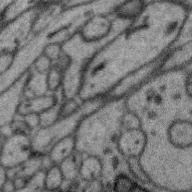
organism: Zebra finch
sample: Brain